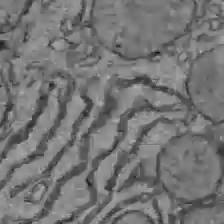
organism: C57BL Mouse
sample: Liver